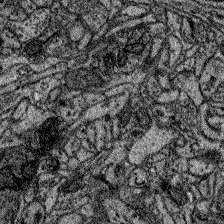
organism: Zebrafish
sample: Larval olfactory bulb